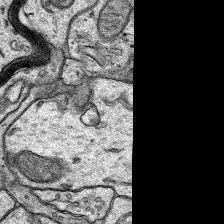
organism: Rat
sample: Hippocampus